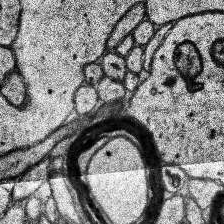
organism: Human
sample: Temporal Lobe